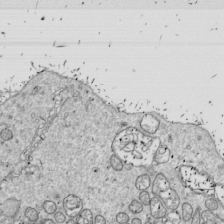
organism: Drosophila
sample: Cell division; meiosis; drosophila spermatocytes